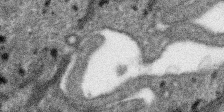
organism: Human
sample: Lung epithelial cells infected with SARS-CoV-2